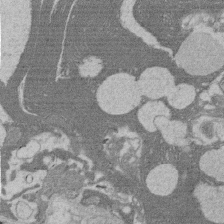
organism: Rat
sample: Salivary granule